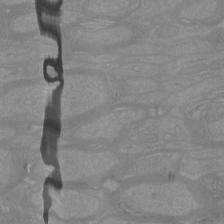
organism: Mouse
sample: Cortical neurons